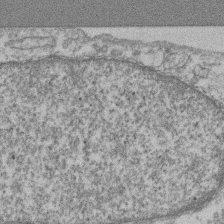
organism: Mouse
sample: T cell stromal cell synapse